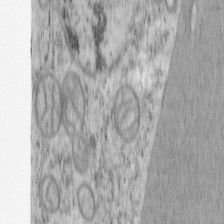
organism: Human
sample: HeLa cells